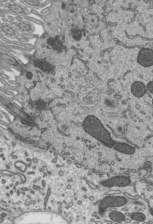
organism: Mouse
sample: Mouse epididymis efferent ductule cilia